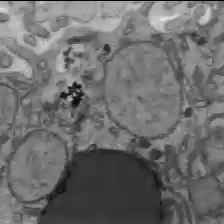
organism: C57BL Mouse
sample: Liver